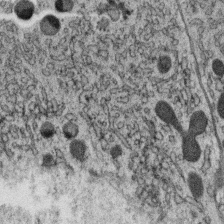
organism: C. elegans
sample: C. elegans oocyte; sperm cells